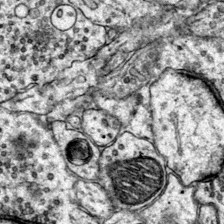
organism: Mouse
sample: Primary visual cortex